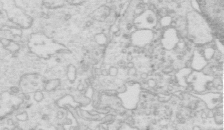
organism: Mouse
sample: Multiciliated cells